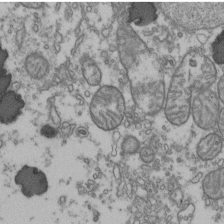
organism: Human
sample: Activated Jurkat CD4+ T cells